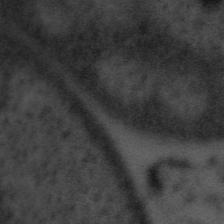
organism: Tuwongella immobilis